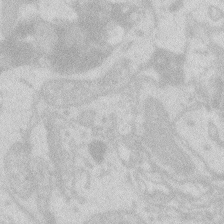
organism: Zebrafish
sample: Macrophage